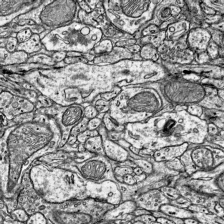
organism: Mouse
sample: Visual Cortex